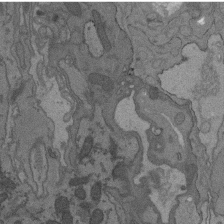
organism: C. elegans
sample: AFD neurons C. elegans